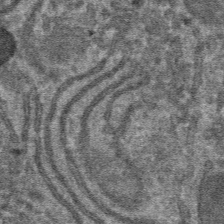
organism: Mouse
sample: Mouse hepatocytes